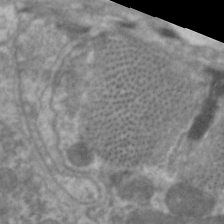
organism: C. elegans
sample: Pharynx